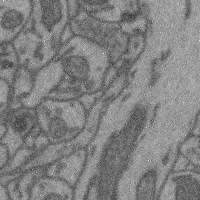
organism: Mouse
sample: Cerebral cortex